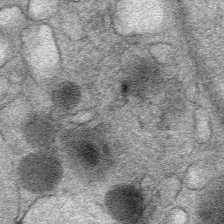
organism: Mouse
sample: Mouse Salivary gland